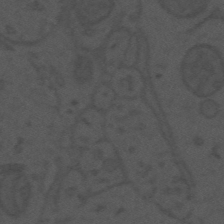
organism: Mouse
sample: Suprachiasmatic nucleus